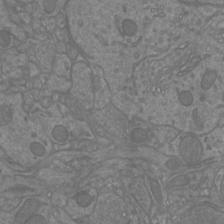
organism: Mouse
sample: Cortical neurons